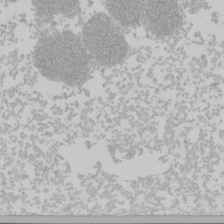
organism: Mouse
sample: Cancer cell death in ED-1 cells